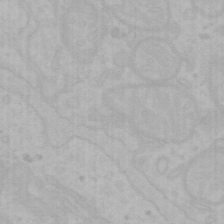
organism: Mouse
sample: Choroid plexus